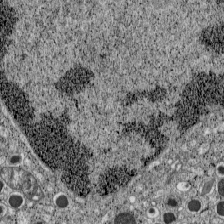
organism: C57BL Mouse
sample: Pancreatic islet